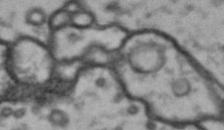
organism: Drosophila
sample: Brain